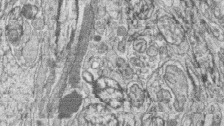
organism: Zebrafish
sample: synaptic ribbons in rod cells and cone cells